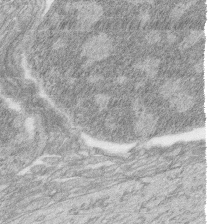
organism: Zebrafish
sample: synaptic ribbons in rod cells and cone cells